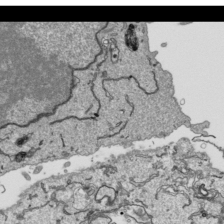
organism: Human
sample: Mitochondria in HCT116 cells